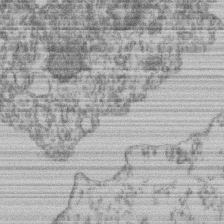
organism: Mouse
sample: T cell stromal cell synapse